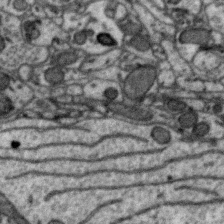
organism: Zebra finch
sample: Brain